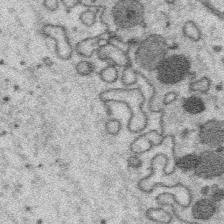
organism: Platynereis dumerilii